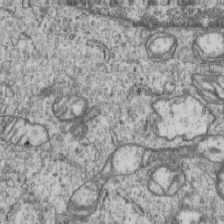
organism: Human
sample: MDA-MB-231 cells